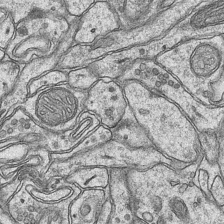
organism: Mouse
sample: CA1 Hippocampus